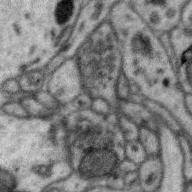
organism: Zebra finch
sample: Brain